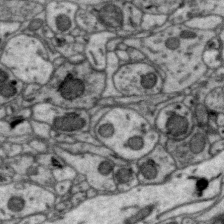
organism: Zebra finch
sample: Brain